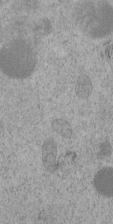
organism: C. elegans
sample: C. elegans embryo early stage